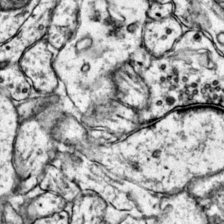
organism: Mouse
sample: Primary visual cortex